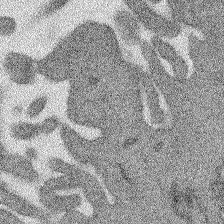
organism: Human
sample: HeLa cells